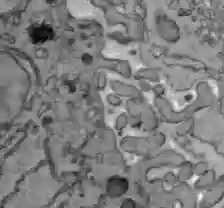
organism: C57BL Mouse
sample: Liver